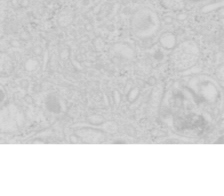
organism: Mouse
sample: Pancreas